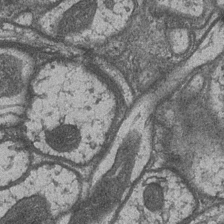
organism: Drosophila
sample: Optic medulla